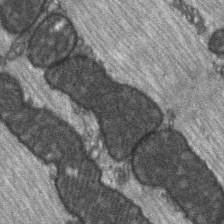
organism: C57BL Mouse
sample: Soleus